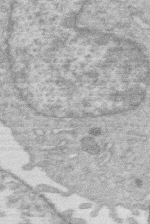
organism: Human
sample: Macrophage cells